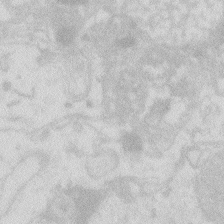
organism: Zebrafish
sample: Macrophage